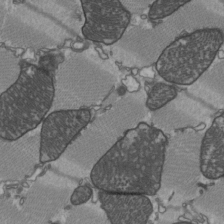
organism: C57BL Mouse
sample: Heart